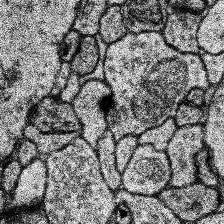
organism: Human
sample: Temporal Lobe